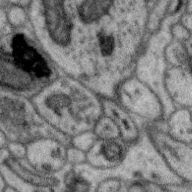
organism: Zebra finch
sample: Brain